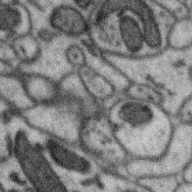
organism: Zebra finch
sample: Brain